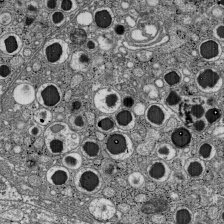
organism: C57BL Mouse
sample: Pancreatic islet